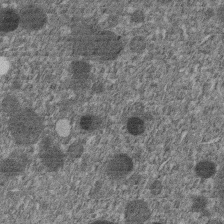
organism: C. elegans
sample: C. elegans embryo early stage